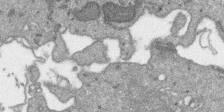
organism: Human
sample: Lung epithelial cells infected with SARS-CoV-2